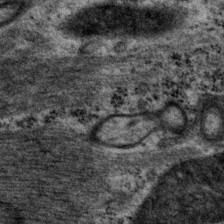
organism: P. pacificus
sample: Pharynx